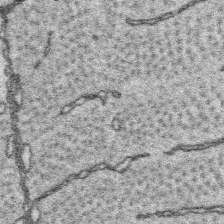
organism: Platynereis dumerilii